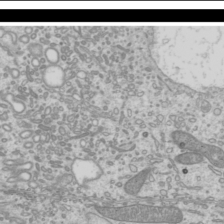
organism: Mouse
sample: Cilia; mouse epididymis